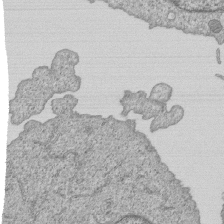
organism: Human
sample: MDA-MB-231 cells